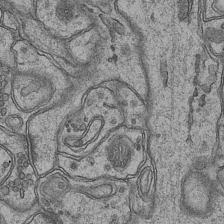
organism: Mouse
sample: CA1 Hippocampus